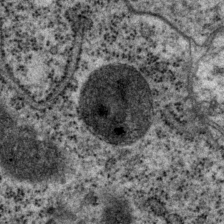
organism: P. pacificus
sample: Pharynx